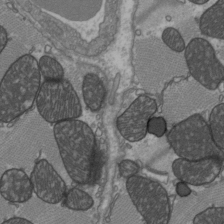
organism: C57BL Mouse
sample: Heart